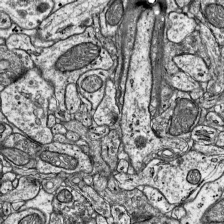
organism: Mouse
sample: Visual Cortex